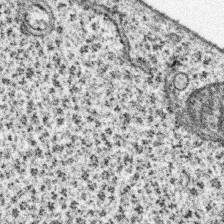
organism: Human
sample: HeLa cells